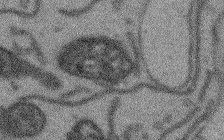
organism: Arabidopsis thaliana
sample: Root tip